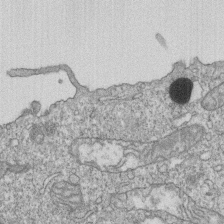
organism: Human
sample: HeLa cell HIV synapse